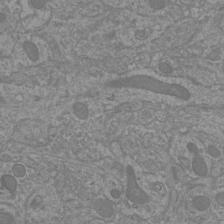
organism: Mouse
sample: Cortical neurons